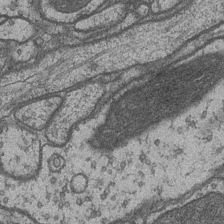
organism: Drosophila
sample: Optic medulla